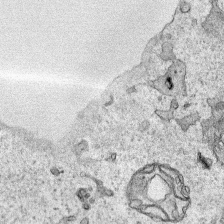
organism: Human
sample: Mitochondria in HCT116 cells